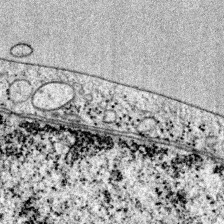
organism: Human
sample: HeLa cells